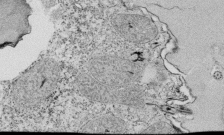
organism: Tetrahymena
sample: Cilia in tetrahymena